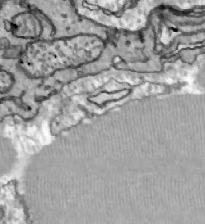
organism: Zebrafish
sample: Actinotrichia fibers